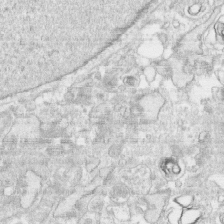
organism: Human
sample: CRL-1474